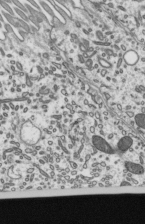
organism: Mouse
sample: Mouse epididymis efferent ductule cilia